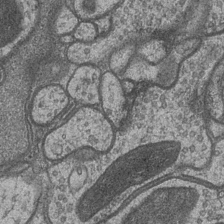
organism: Drosophila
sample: Optic medulla